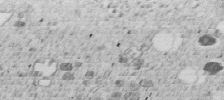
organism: C. elegans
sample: C. elegans embryo early stage